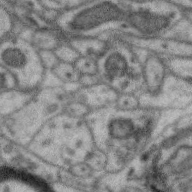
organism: Zebra finch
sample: Brain